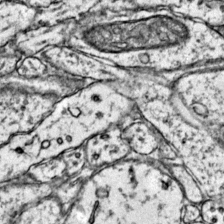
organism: Mouse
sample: Primary visual cortex